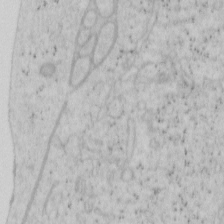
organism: Human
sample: HeLa cells